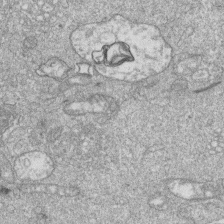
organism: Human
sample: HeLa cell HIV synapse